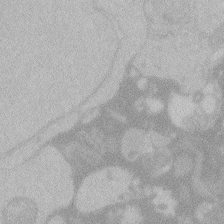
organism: Zebrafish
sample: Macrophage infected with Toxoplasma gondii